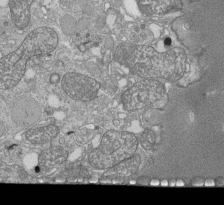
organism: Tetrahymena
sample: Cilia in tetrahymena